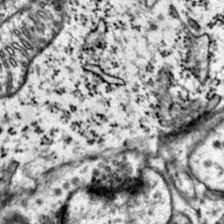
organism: Mouse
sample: Primary visual cortex